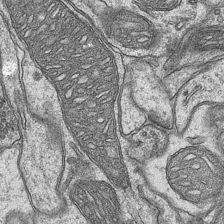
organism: Mouse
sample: CA1 Hippocampus